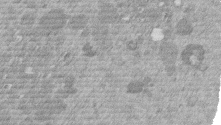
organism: Mouse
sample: Dividing mouse embryo 1 cell stage